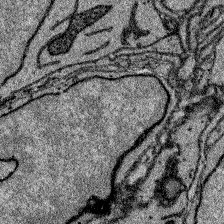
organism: Zebrafish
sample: Larval olfactory bulb